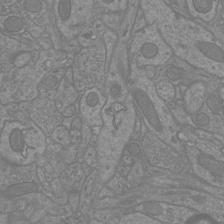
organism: Mouse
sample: Cortical neurons